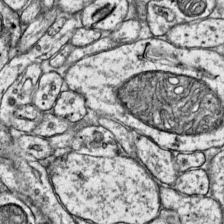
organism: Mouse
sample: Primary visual cortex